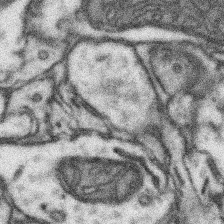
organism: Mouse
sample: Somatosensory cortex neuropil